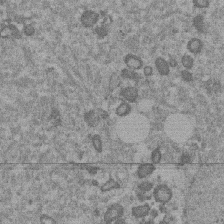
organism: Mouse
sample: Dividing mouse embryo 1 cell stage